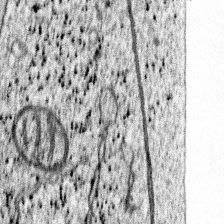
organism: Human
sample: HeLa cells